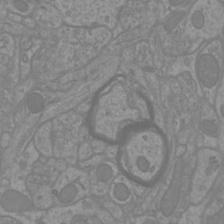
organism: Mouse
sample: Cortical neurons